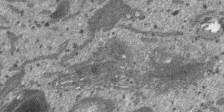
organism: Human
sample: Lung epithelial cells infected with SARS-CoV-2